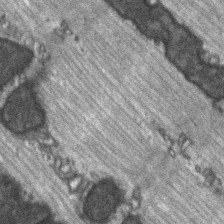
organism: C57BL Mouse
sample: Soleus